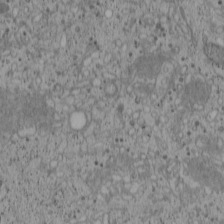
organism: African green monkey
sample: COS-7 cells